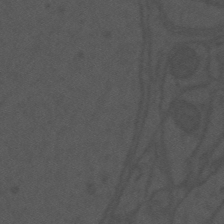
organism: Mouse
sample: Suprachiasmatic nucleus